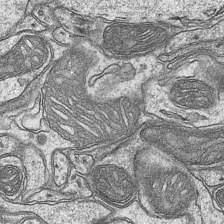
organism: Mouse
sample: CA1 Hippocampus